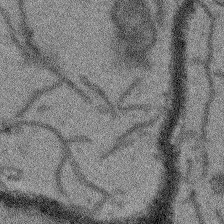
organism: Arabidopsis thaliana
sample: Root tip